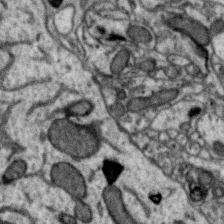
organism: Zebra finch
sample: Brain